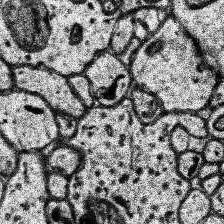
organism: Human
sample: Temporal Lobe